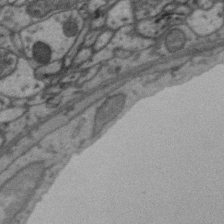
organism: Zebra finch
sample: Brain